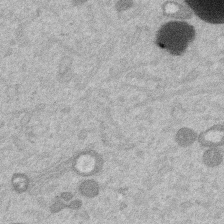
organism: Mouse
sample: Dividing mouse embryo 1 cell stage